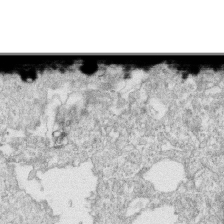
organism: Human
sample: HeLa cell HIV synapse